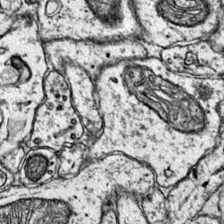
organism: Mouse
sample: Primary visual cortex